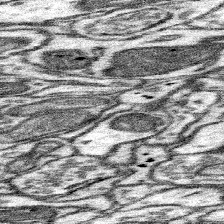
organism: Mouse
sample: Somatosensory cortex neuropil